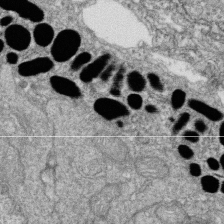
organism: Zebrafish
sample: Cilia; retinal pigment epithelium